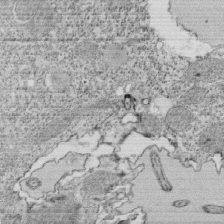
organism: Tetrahymena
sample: Cilia in tetrahymena